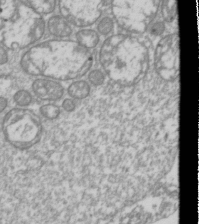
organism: Drosophila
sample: Cell division; meiosis; drosophila spermatocytes